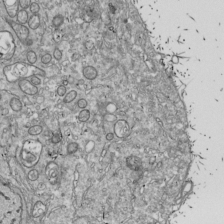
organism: Drosophila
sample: Cell division; meiosis; drosophila spermatocytes